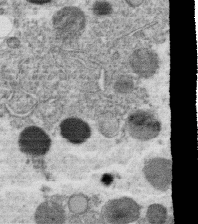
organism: C. elegans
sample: C. elegans oocyte; sperm cells